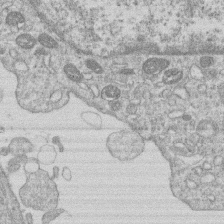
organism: Human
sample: Macrophage cells